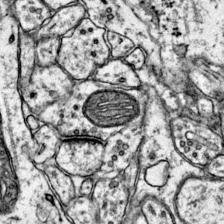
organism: Mouse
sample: Primary visual cortex